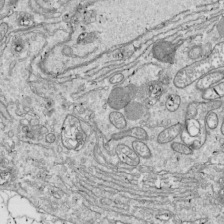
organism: Drosophila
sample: Cell division; meiosis; drosophila spermatocytes